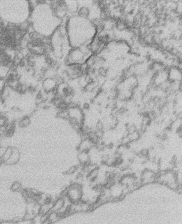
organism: Mouse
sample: T cell stromal cell synapse